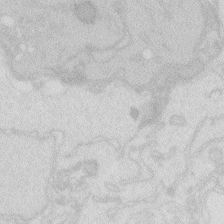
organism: Zebrafish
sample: Macrophage